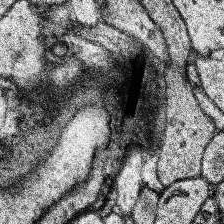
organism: Human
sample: Temporal Lobe